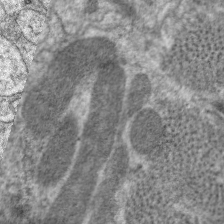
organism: C. elegans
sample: Pharynx